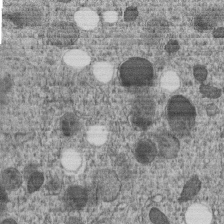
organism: C. elegans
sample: C. elegans embryo early stage